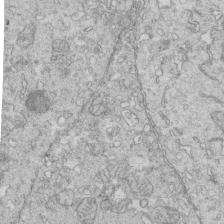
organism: Mouse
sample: Multiciliated cells